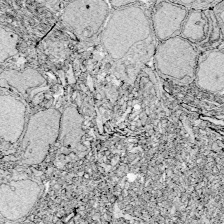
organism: Zebrafish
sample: Whole-Brain